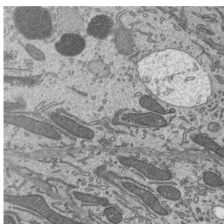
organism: Mouse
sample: Mouse epididymis efferent ductule cilia